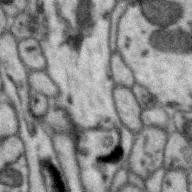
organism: Zebra finch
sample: Brain